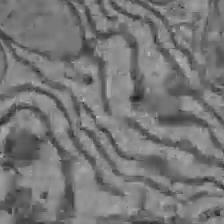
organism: C57BL Mouse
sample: Liver